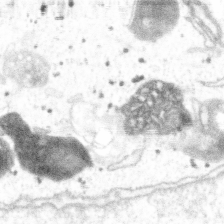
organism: Human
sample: HeLa cells